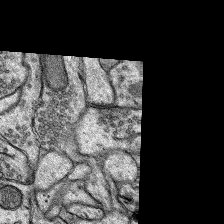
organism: Rat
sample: Hippocampus